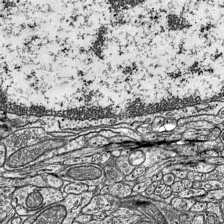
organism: Mouse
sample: Visual Cortex